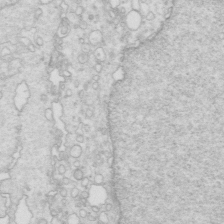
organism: Mouse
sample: Multiciliated cells